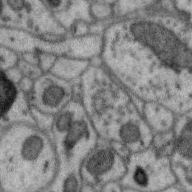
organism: Zebra finch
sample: Brain